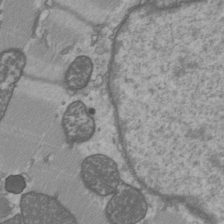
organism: C57BL Mouse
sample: Heart